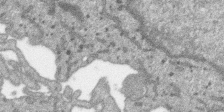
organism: Human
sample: Lung epithelial cells infected with SARS-CoV-2